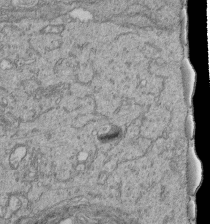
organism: Human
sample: Retinal organoid Rod and Cone cells